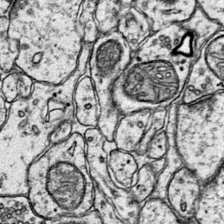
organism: Mouse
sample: Primary visual cortex